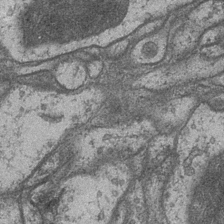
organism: Drosophila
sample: Optic medulla